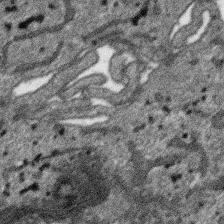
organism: Human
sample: Lung epithelial cells infected with SARS-CoV-2